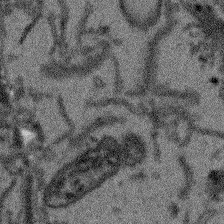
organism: Arabidopsis thaliana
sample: Root tip